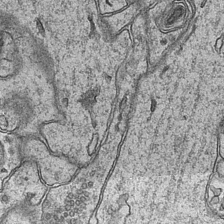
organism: Mouse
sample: CA1 Hippocampus